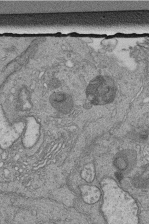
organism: Human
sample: Retinal organoid Rod and Cone cells